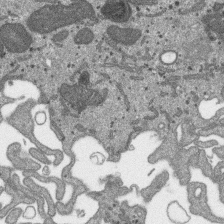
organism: Human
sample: Lung epithelial cells infected with SARS-CoV-2